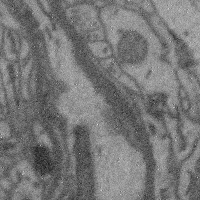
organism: Mouse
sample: Cerebral cortex